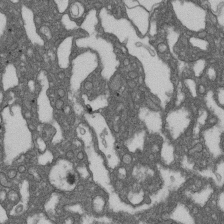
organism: Drosophila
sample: Nephrocyte